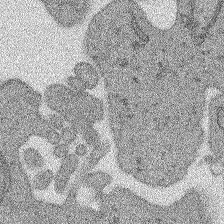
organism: Human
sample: HeLa cells